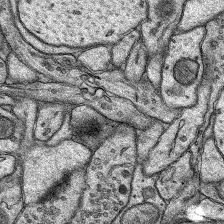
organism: Rat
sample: Hippocampus